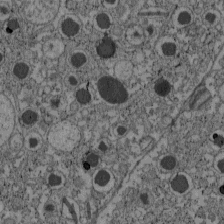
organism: C57BL Mouse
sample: Pancreatic islet